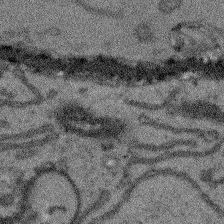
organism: Arabidopsis thaliana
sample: Root tip